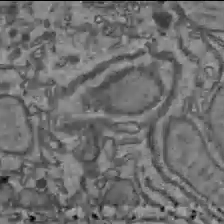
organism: C57BL Mouse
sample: Liver